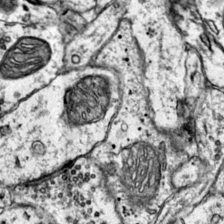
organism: Mouse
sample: Primary visual cortex